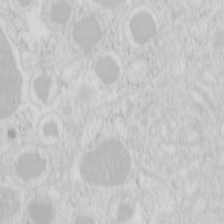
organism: Mouse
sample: Pancreas